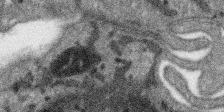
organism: Human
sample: Lung epithelial cells infected with SARS-CoV-2